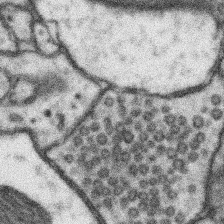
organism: Mouse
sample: Somatosensory cortex neuropil